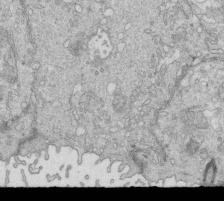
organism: Mouse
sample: Multiciliated cells